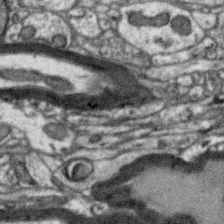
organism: Zebra finch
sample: Brain